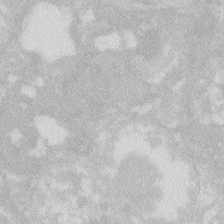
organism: Zebrafish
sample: Macrophage